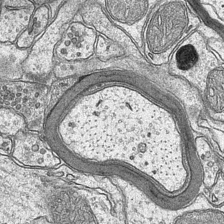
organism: Mouse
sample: CA1 Hippocampus